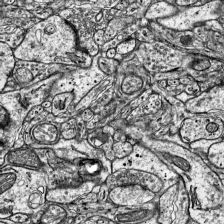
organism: Mouse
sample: Visual Cortex